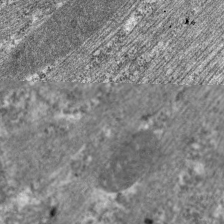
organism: C. elegans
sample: Pharynx